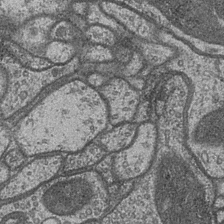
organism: Drosophila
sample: Optic medulla